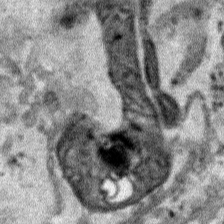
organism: Human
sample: Mitochondria in HCT116 cells